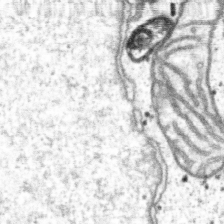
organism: Human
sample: HeLa cells